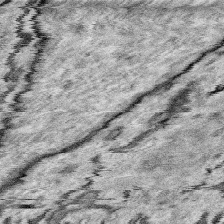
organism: Human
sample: HeLa cells